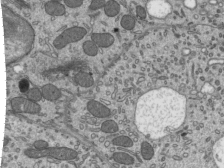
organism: Mouse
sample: Mouse epididymis efferent ductule cilia